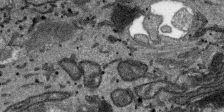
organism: Human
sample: Lung epithelial cells, uninfected (mock) control